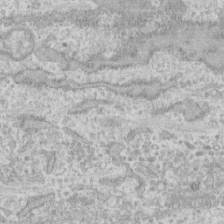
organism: Human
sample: CRL-1474